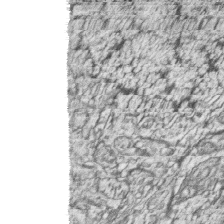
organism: Zebrafish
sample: synaptic ribbons in rod cells and cone cells